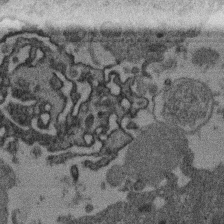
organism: Mouse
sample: Dividing mouse embryo 1 cell stage